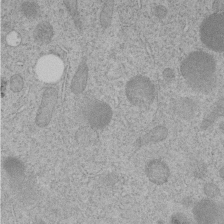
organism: C. elegans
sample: C. elegans embryo early stage